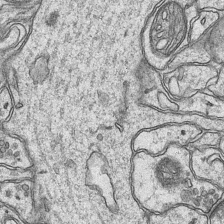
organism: Mouse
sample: CA1 Hippocampus